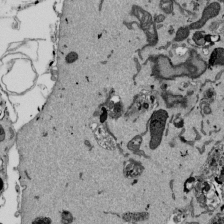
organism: Mouse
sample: ED-1 cell nuclei; centrioles